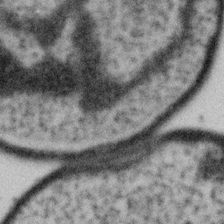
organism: Gemmata obscuriglobus